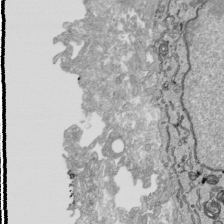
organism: Human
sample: Mitochondria in HCT116 cells